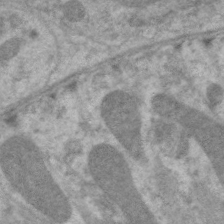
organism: C. elegans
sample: Pharynx